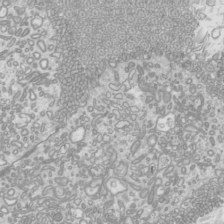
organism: Mouse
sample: Cilia; mouse epididymis